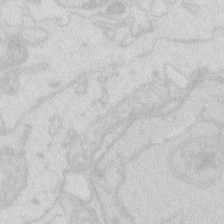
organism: Zebrafish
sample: Macrophage